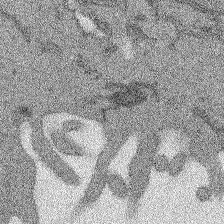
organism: Human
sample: HeLa cells